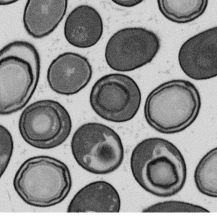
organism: B. subtilis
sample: Bacterial spore